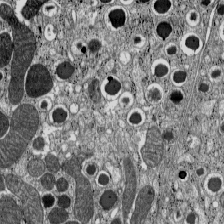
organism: C57BL Mouse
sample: Pancreatic islet